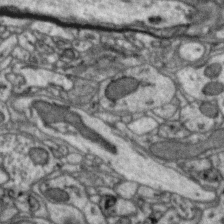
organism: Zebra finch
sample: Brain